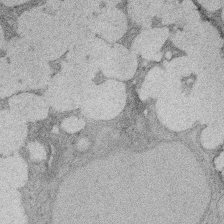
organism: Rat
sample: Salivary granule